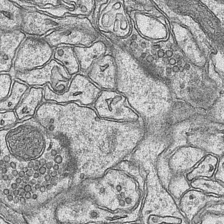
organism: Mouse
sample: CA1 Hippocampus